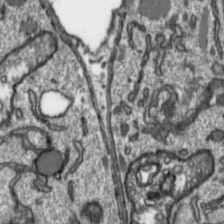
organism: Toxoplasma gondii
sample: Parasites in a vacuole inside a host cell